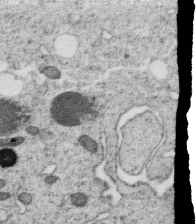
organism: C. elegans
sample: C. elegans oocyte; sperm cells